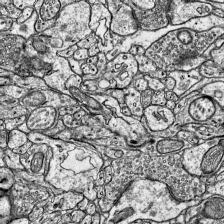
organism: Mouse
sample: Visual Cortex